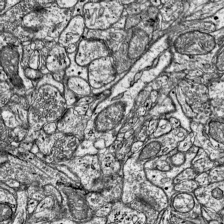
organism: Mouse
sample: Visual Cortex